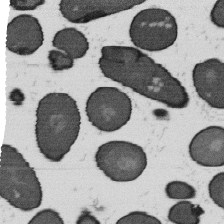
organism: B. subtilis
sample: Bacterial spore